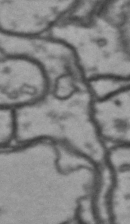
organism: Drosophila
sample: Brain